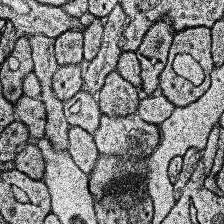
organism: Human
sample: Temporal Lobe